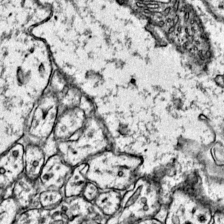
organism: Mouse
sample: Primary visual cortex